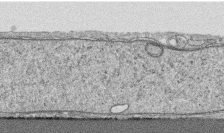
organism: Human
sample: CRL-1474